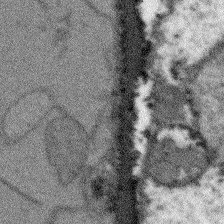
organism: Arabidopsis thaliana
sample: Root tip